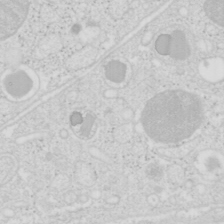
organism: Mouse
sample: Pancreas